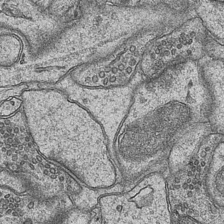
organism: Mouse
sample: CA1 Hippocampus